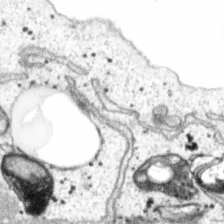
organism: Human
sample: HeLa cells